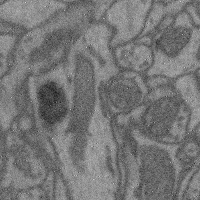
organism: Mouse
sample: Cerebral cortex